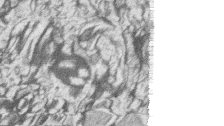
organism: Zebrafish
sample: synaptic ribbons in rod cells and cone cells